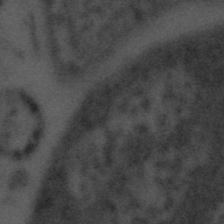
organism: Tuwongella immobilis